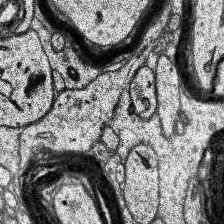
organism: Human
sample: Temporal Lobe